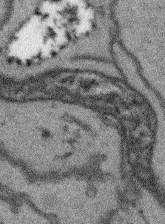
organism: Arabidopsis thaliana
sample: Root tip